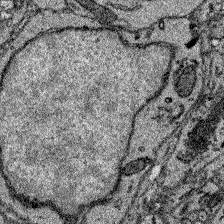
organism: Zebrafish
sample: Larval olfactory bulb